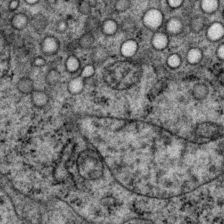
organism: P. pacificus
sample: Pharynx